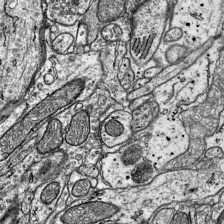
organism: Mouse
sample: Visual Cortex